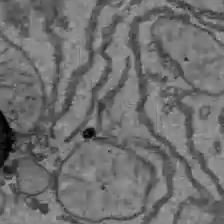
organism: C57BL Mouse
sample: Liver